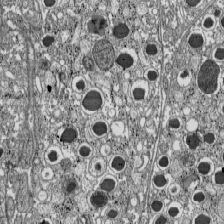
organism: C57BL Mouse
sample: Pancreatic islet